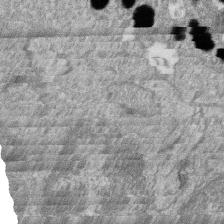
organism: Zebrafish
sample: Cilia; retinal pigment epithelium